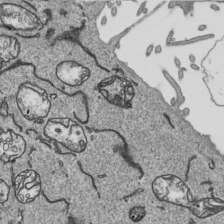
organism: Human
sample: Mitochondria in HCT116 cells